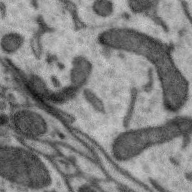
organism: Zebra finch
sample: Brain